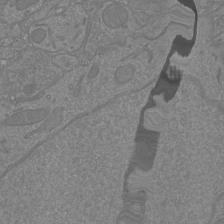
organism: Mouse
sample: Cortical neurons